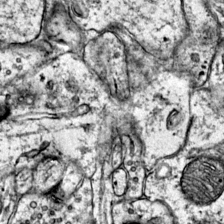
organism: Mouse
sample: Primary visual cortex